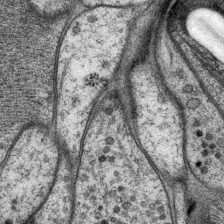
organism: P. pacificus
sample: Pharynx